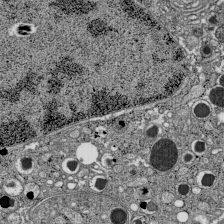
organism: C57BL Mouse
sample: Pancreatic islet